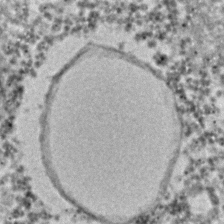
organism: C. elegans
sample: C. elegans embryo